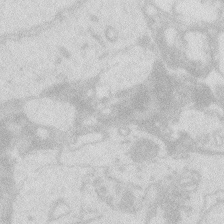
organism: Zebrafish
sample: Macrophage